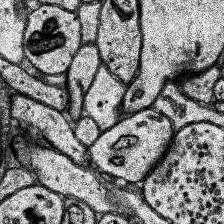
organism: Human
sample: Temporal Lobe